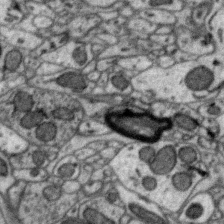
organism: Zebra finch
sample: Brain